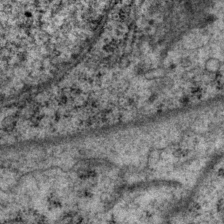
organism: P. pacificus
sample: Pharynx